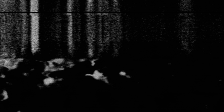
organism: Human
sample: Lung epithelial cells, uninfected (mock) control